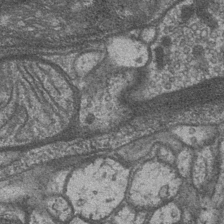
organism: Drosophila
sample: Optic medulla